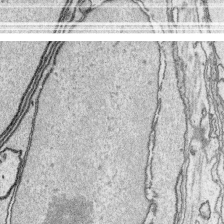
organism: Platynereis dumerilii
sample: Parapodia